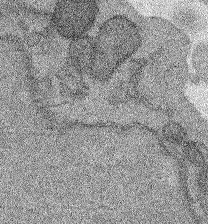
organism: Human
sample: HeLa cells